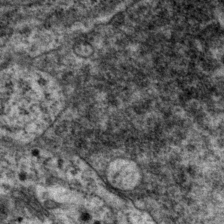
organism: P. pacificus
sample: Pharynx